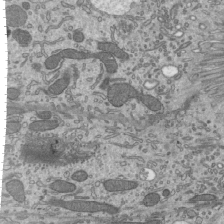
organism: Mouse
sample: Mouse epididymis efferent ductule cilia